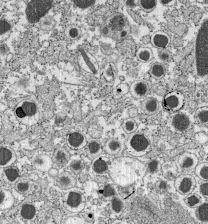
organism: C57BL Mouse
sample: Pancreatic islet